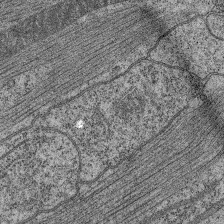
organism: C. elegans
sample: Pharynx